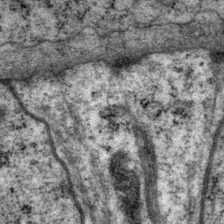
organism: P. pacificus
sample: Pharynx